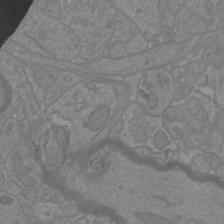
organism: Mouse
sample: Cortical neurons